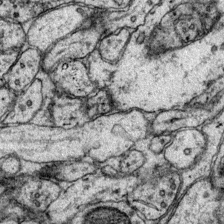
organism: Mouse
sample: Primary visual cortex